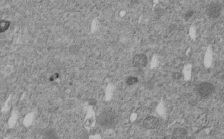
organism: C. elegans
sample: C. elegans embryo early stage